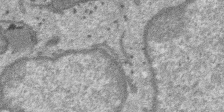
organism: Human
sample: Lung epithelial cells infected with SARS-CoV-2